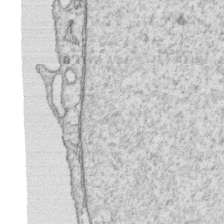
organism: Human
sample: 1205lu cells